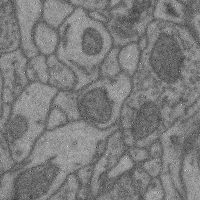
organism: Mouse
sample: Cerebral cortex